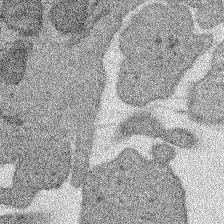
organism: Human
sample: HeLa cells